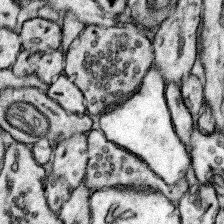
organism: Mouse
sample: Somatosensory cortex neuropil